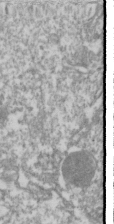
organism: Drosophila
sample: Cell division; meiosis; drosophila spermatocytes